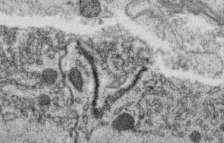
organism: C. elegans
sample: C. elegans oocyte; sperm cells